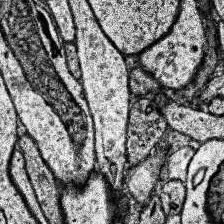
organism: Human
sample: Temporal Lobe